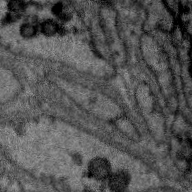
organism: Zebra finch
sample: Brain